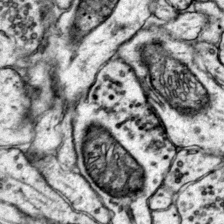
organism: Mouse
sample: Primary visual cortex